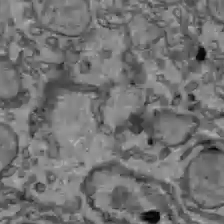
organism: C57BL Mouse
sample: Liver